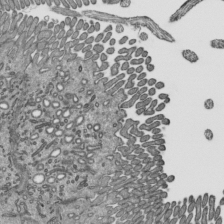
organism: Mouse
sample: Mouse epididymis efferent ductule cilia